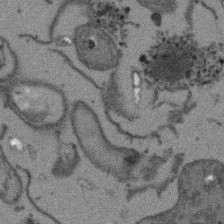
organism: Arabidopsis thaliana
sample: Root tip